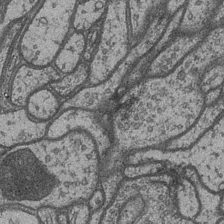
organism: Drosophila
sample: Optic medulla